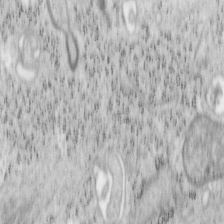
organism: Human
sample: HeLa cells